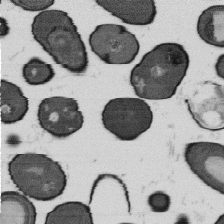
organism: B. subtilis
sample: Bacterial spore